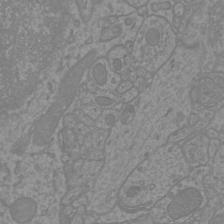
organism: Mouse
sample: Cortical neurons